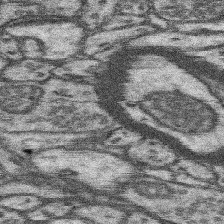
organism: Mouse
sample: Somatosensory cortex neuropil